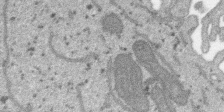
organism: Human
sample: Lung epithelial cells infected with SARS-CoV-2